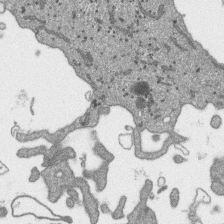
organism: Human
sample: Lung epithelial cells infected with SARS-CoV-2